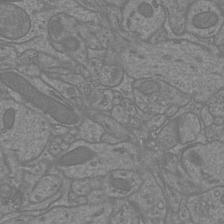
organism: Mouse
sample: Cortical neurons